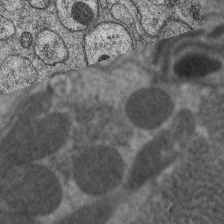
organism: C. elegans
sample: Pharynx